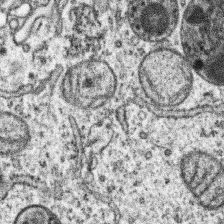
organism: Human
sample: HeLa cells